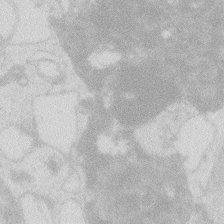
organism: Zebrafish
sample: Macrophage